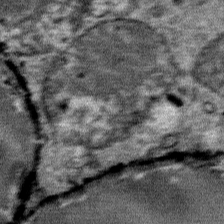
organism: Mouse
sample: Mouse Salivary gland